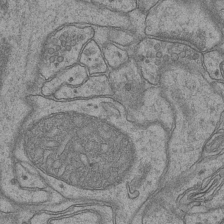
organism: Mouse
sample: CA1 Hippocampus